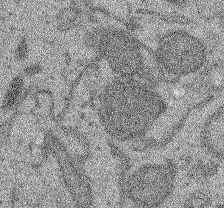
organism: Human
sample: HeLa cells